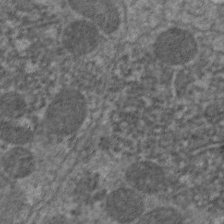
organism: C. elegans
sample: Pharynx